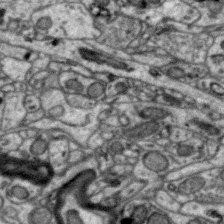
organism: Zebra finch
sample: Brain